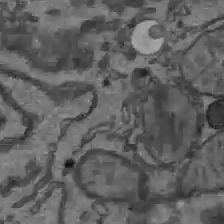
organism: C57BL Mouse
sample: Liver